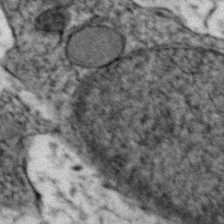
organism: Zebrafish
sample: Zebrafish embryo